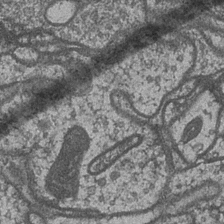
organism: Drosophila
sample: Optic medulla